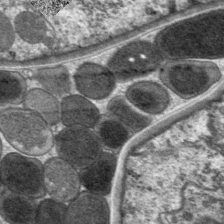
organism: C. elegans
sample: Pharynx